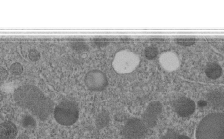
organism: C. elegans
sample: C. elegans embryo early stage